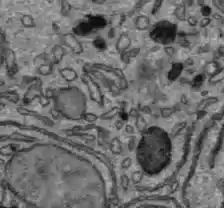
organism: C57BL Mouse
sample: Liver